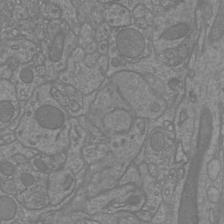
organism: Mouse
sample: Cortical neurons